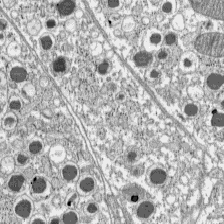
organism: C57BL Mouse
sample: Pancreatic islet